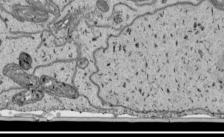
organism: Human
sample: Mitochondria in HCT116 cells